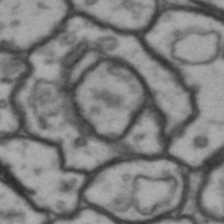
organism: Drosophila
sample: Brain